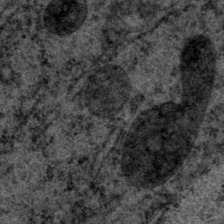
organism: P. pacificus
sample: Pharynx